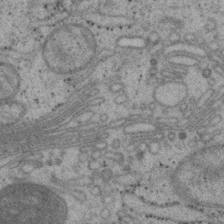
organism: Human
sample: HeLa cells